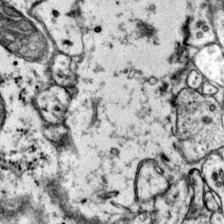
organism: Mouse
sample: Primary visual cortex